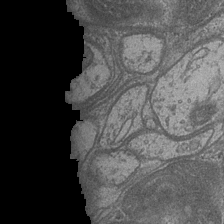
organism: Drosophila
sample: Optic medulla